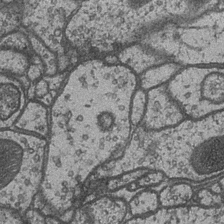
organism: Drosophila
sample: Optic medulla